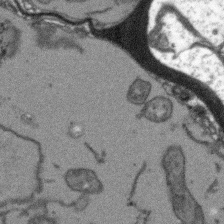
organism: Arabidopsis thaliana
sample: Root tip